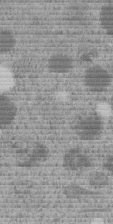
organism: C. elegans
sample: C. elegans embryo early stage